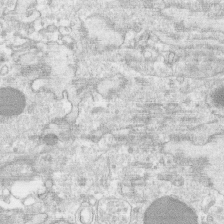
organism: Human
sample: CRL-1474